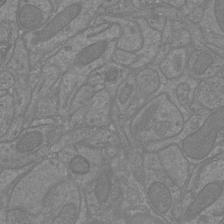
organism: Mouse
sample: Cortical neurons